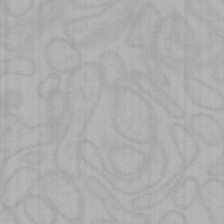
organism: Mouse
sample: Choroid plexus